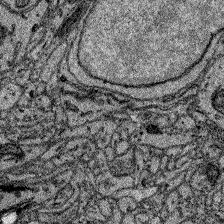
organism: Zebrafish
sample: Larval olfactory bulb